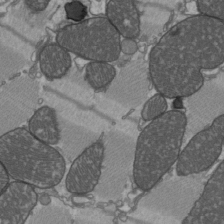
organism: C57BL Mouse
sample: Heart